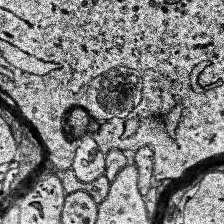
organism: Human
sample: Temporal Lobe